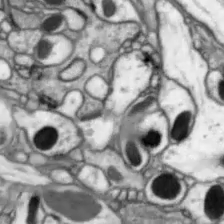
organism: Drosophila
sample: Optic lobe